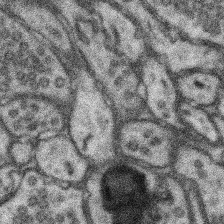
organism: Mouse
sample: Somatosensory cortex neuropil